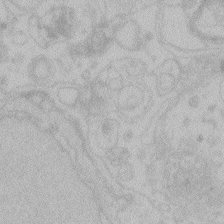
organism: Zebrafish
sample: Macrophage infected with Toxoplasma gondii